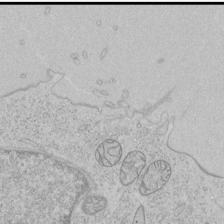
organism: Human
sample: Mitochondria in HCT116 cells